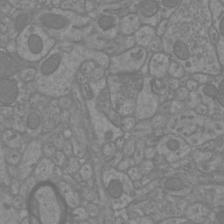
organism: Mouse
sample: Cortical neurons